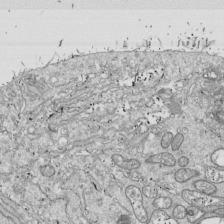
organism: Drosophila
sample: Cell division; meiosis; drosophila spermatocytes